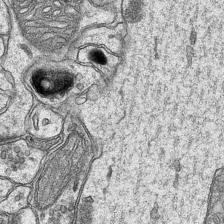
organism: Mouse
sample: CA1 Hippocampus